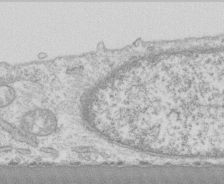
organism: Human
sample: CRL-1474